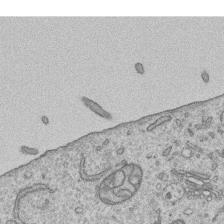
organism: Human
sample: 1205lu cells